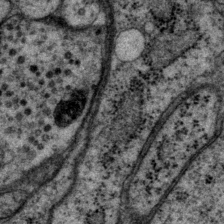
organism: P. pacificus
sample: Pharynx